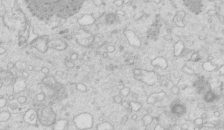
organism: Mouse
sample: Multiciliated cells